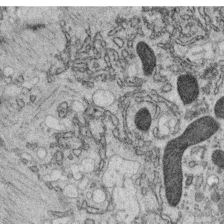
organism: C. elegans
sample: C. elegans oocyte; sperm cells